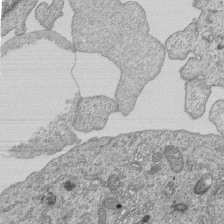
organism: Human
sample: MDA-MB-231 cells